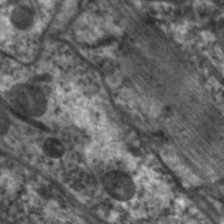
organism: C. elegans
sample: Pharynx